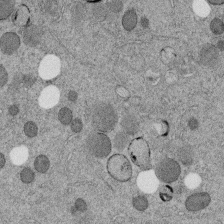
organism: C. elegans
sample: C. elegans embryo early stage